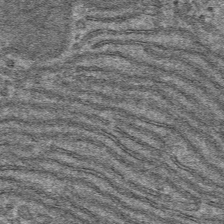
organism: Mouse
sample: Mouse hepatocytes